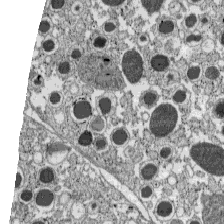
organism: C57BL Mouse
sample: Pancreatic islet